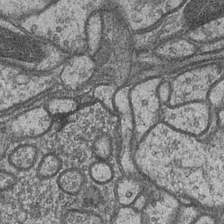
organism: Drosophila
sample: Optic medulla